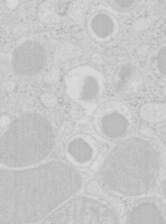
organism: Mouse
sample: Pancreas